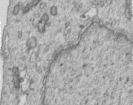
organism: Human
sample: Centriole in RPE cells